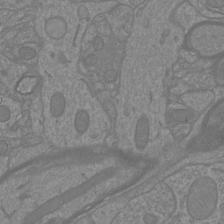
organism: Mouse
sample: Cortical neurons